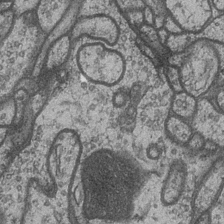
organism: Drosophila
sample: Optic medulla